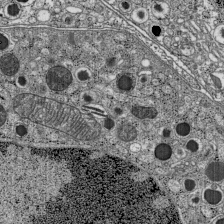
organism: C57BL Mouse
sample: Pancreatic islet